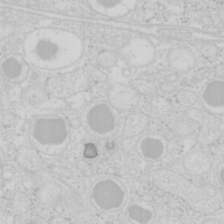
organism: Mouse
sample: Pancreas